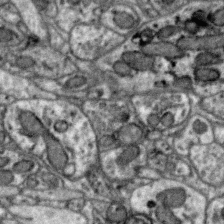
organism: Zebra finch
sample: Brain